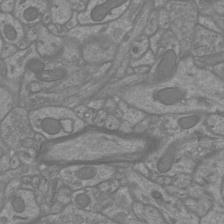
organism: Mouse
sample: Cortical neurons